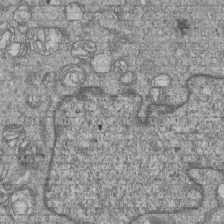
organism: Human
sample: MDA-MB-231 cells